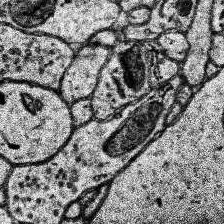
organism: Human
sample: Temporal Lobe